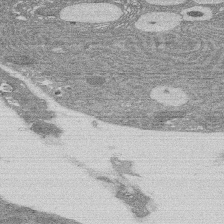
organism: Rat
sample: Salivary granule